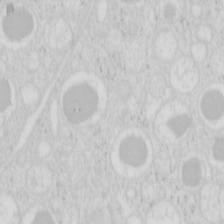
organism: Mouse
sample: Pancreas